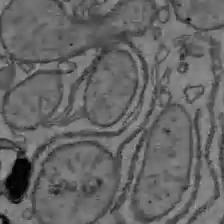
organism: C57BL Mouse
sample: Liver